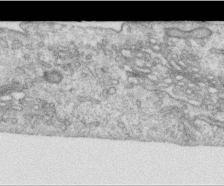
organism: Human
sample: Centriole in RPE cells